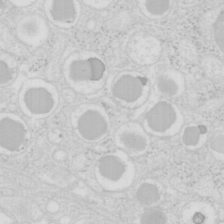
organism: Mouse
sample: Pancreas